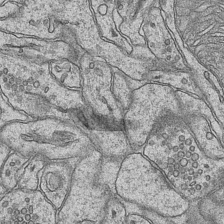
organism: Mouse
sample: CA1 Hippocampus